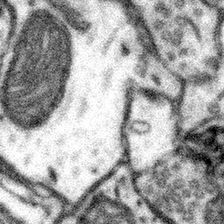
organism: Mouse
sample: Somatosensory cortex neuropil